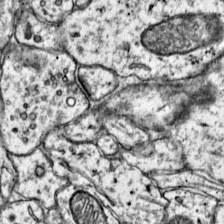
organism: Mouse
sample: Primary visual cortex